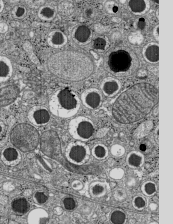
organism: C57BL Mouse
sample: Pancreatic islet